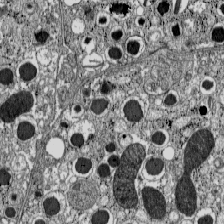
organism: C57BL Mouse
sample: Pancreatic islet